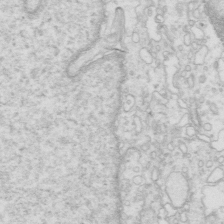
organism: Mouse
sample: Multiciliated cells